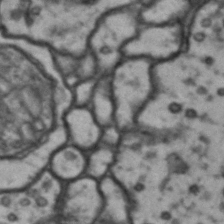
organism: Drosophila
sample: Brain